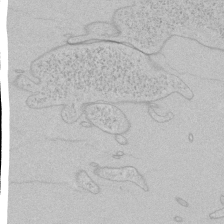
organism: Human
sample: Mitochondria in HCT116 cells